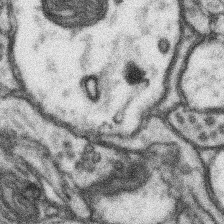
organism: Mouse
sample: Somatosensory cortex neuropil